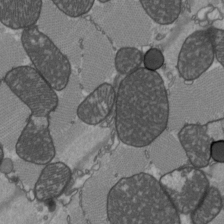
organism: C57BL Mouse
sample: Heart